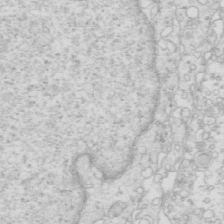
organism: Mouse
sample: Multiciliated cells